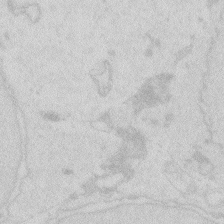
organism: Zebrafish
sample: Macrophage